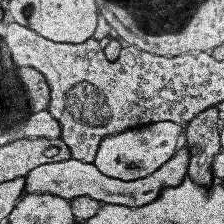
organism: Human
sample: Temporal Lobe